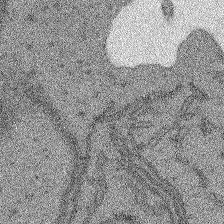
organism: Human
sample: HeLa cells